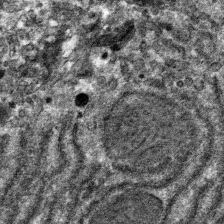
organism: Mouse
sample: Mouse hepatocytes